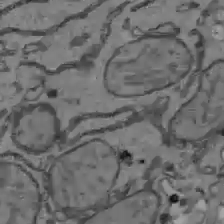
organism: C57BL Mouse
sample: Liver